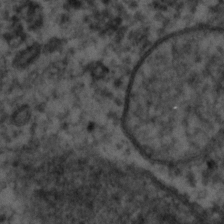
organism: C. elegans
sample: C. elegans embryo